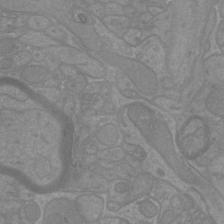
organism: Mouse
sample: Cortical neurons